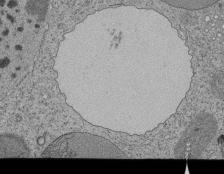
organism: Tetrahymena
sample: Cilia in tetrahymena